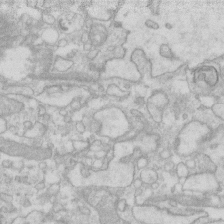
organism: Human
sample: Fibroblast cells